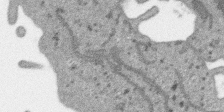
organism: Human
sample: Lung epithelial cells infected with SARS-CoV-2